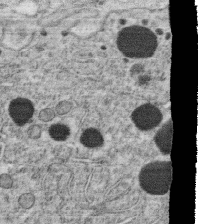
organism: C. elegans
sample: C. elegans oocyte; sperm cells